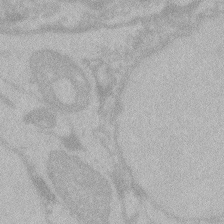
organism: Zebrafish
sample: Macrophage infected with Toxoplasma gondii